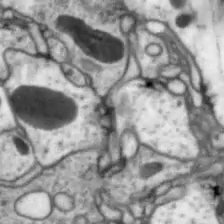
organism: Drosophila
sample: Optic lobe